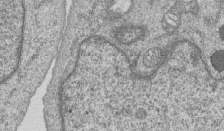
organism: Human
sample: MDA-MB-231 cells